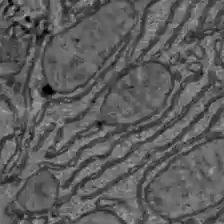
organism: C57BL Mouse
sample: Liver